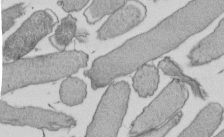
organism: E. coli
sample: Bacterial nucleoid